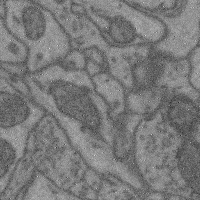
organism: Mouse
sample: Cerebral cortex